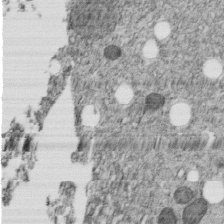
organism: C. elegans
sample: C. elegans embryo early stage